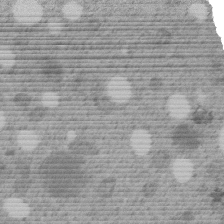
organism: C. elegans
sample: C. elegans embryo early stage